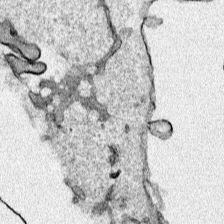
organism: Human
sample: Mitochondria in HCT116 cells